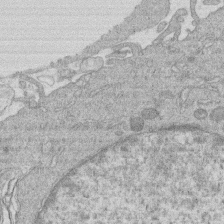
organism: Human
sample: Macrophage cells